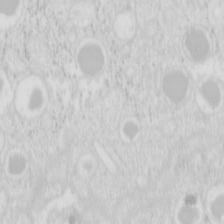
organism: Mouse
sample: Pancreas